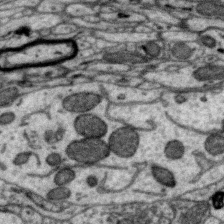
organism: Zebra finch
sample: Brain